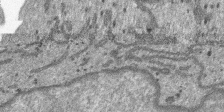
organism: Human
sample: Lung epithelial cells infected with SARS-CoV-2